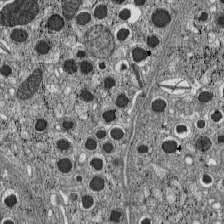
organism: C57BL Mouse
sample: Pancreatic islet